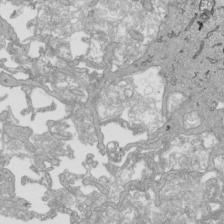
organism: Human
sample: Mitochondria in HCT116 cells